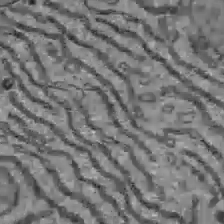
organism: C57BL Mouse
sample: Liver